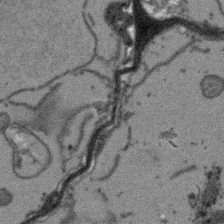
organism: Arabidopsis thaliana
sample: Root tip